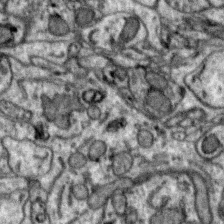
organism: Zebra finch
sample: Brain